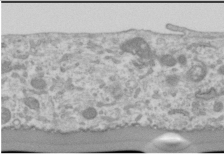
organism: Human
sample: Cilia; basal body in RPE cells